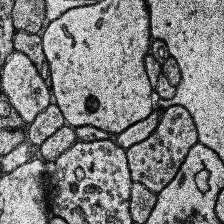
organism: Human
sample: Temporal Lobe